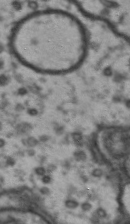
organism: Drosophila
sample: Brain